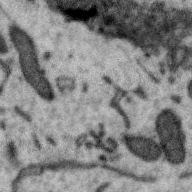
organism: Zebra finch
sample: Brain